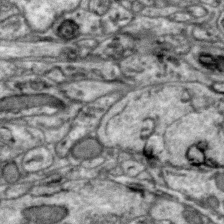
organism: Zebra finch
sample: Brain